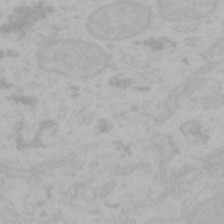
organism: Mouse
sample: Choroid plexus